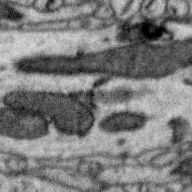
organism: Zebra finch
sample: Brain